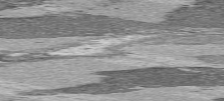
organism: C57BL Mouse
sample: Heart